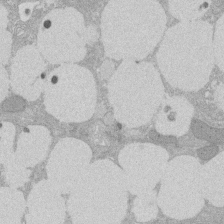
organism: Rat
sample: Salivary granule